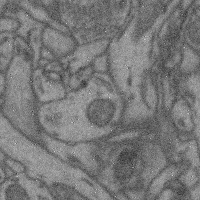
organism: Mouse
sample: Cerebral cortex